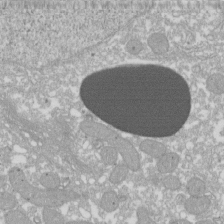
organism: Xenopus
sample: Cilia; centrioles in frog embryo cells